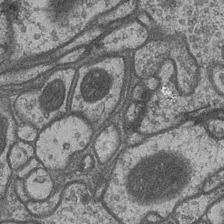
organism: Drosophila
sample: Optic medulla